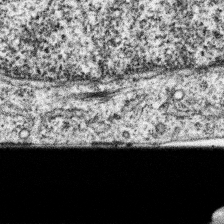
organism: Human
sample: HeLa cells